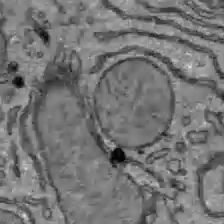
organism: C57BL Mouse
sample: Liver